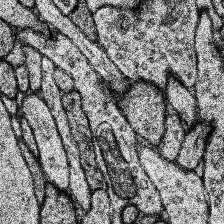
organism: Human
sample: Temporal Lobe